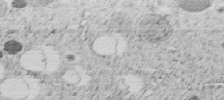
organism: C. elegans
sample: C. elegans embryo early stage